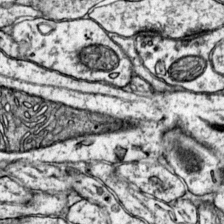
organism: Mouse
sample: Primary visual cortex